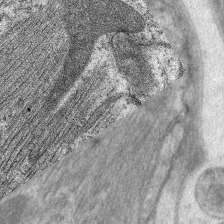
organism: C. elegans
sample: Pharynx